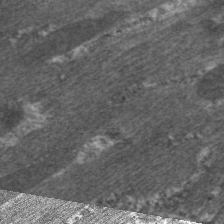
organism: C. elegans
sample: Pharynx